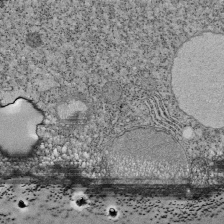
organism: Tetrahymena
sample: Cilia in tetrahymena